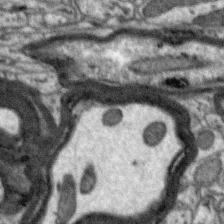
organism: Zebra finch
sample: Brain